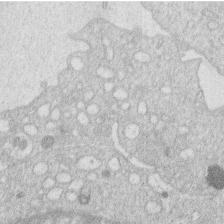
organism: Human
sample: Macrophage cells